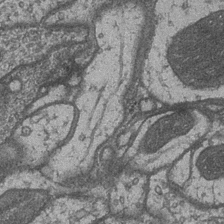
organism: Drosophila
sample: Optic medulla